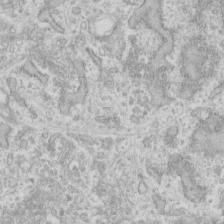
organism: Human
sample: Fibroblast cells